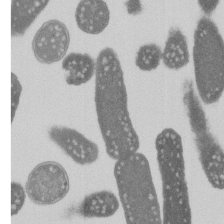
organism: E. coli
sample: Bacterial nucleoid